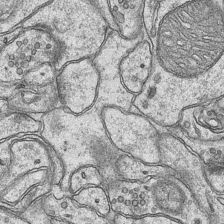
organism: Mouse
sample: CA1 Hippocampus